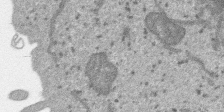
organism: Human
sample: Lung epithelial cells infected with SARS-CoV-2